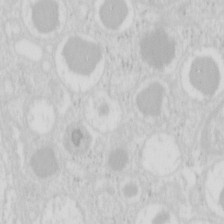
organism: Mouse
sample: Pancreas